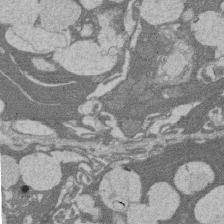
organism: Rat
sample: Salivary granule